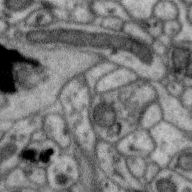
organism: Zebra finch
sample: Brain